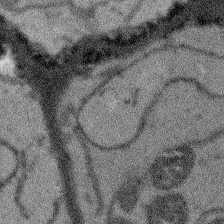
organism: Arabidopsis thaliana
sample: Root tip